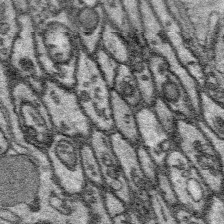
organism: Platynereis dumerilii